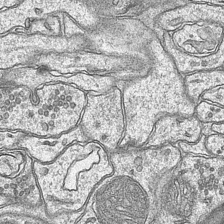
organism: Mouse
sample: CA1 Hippocampus